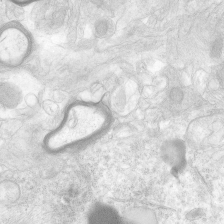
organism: Human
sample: Neocortex